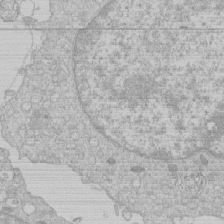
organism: Human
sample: Macrophage cells